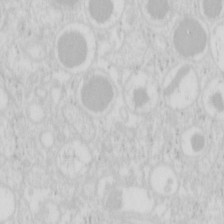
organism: Mouse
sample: Pancreas